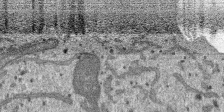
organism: Human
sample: Lung epithelial cells infected with SARS-CoV-2